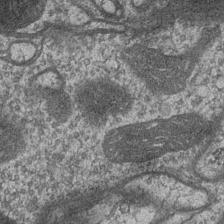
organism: Drosophila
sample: Optic medulla